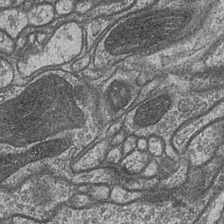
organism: Drosophila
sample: Optic medulla